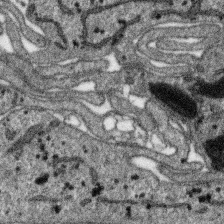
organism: Human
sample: Lung epithelial cells infected with SARS-CoV-2